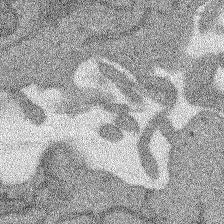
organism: Human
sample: HeLa cells